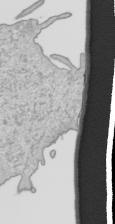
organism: Human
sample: Mitochondria in HCT116 cells